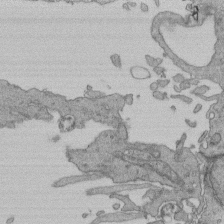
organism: Human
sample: Retinal organoid Rod and Cone cells